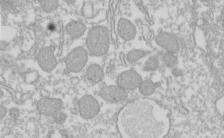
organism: Xenopus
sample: Cilia; centrioles in frog embryo cells